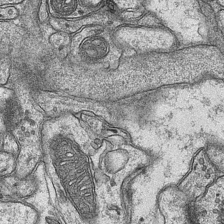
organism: Mouse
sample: CA1 Hippocampus